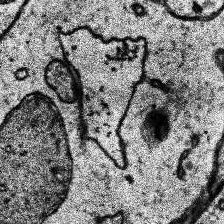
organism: Human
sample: Temporal Lobe